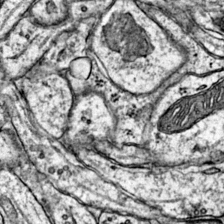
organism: Mouse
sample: Primary visual cortex